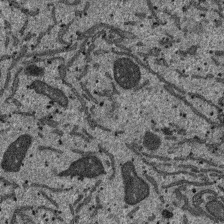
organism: Human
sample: Lung epithelial cells infected with SARS-CoV-2